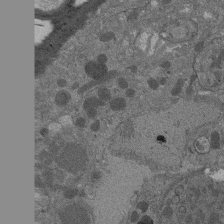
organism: Drosophila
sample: Antenna